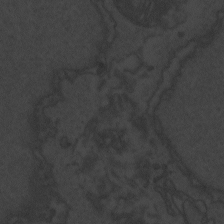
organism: Zebrafish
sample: Macrophage infected with Toxoplasma gondii